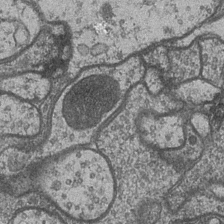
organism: Drosophila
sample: Optic medulla